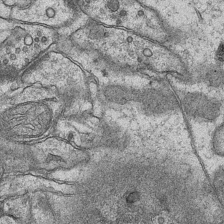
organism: Mouse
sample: CA1 Hippocampus